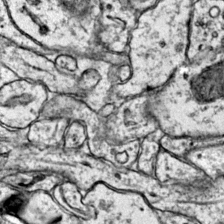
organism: Mouse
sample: Primary visual cortex